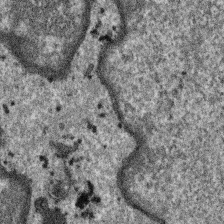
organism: Human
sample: Lung epithelial cells infected with SARS-CoV-2